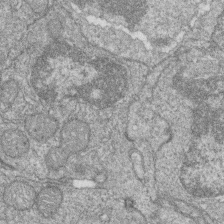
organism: Zebrafish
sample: Cilia; retinal pigment epithelium